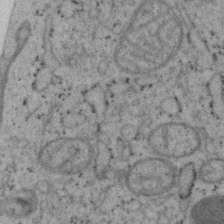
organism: Human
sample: HeLa cells